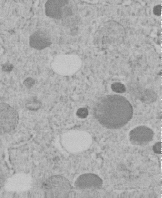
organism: C. elegans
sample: C. elegans embryo early stage